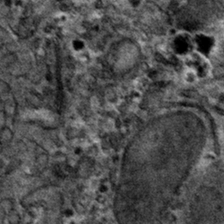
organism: Mouse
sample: Mouse hepatocytes